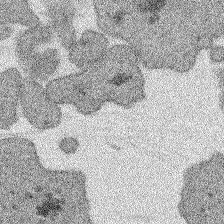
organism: Human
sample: HeLa cells